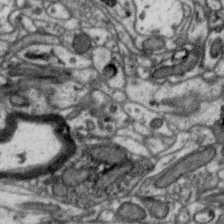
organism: Zebra finch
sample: Brain